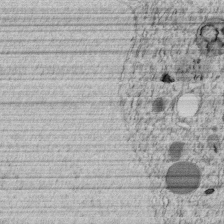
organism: C. elegans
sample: C. elegans embryo early stage